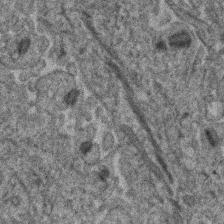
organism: Human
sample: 1205lu cells